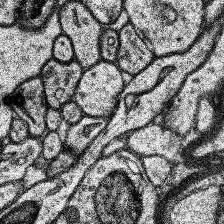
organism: Human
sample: Temporal Lobe